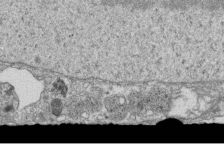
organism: Human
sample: HeLa cell HIV synapse